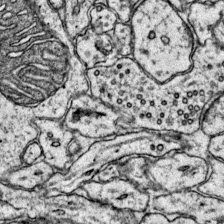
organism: Mouse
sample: Primary visual cortex